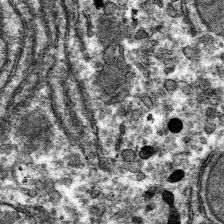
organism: Mouse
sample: Mouse hepatocytes